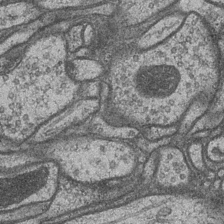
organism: Drosophila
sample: Optic medulla